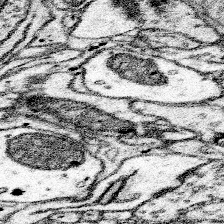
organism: Mouse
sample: Somatosensory cortex neuropil